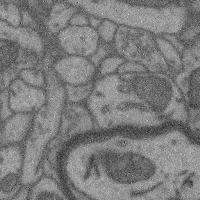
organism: Mouse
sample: Cerebral cortex